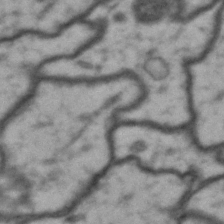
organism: Drosophila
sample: Brain